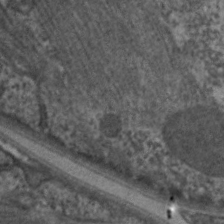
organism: C. elegans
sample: Pharynx